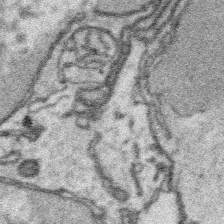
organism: Platynereis dumerilii